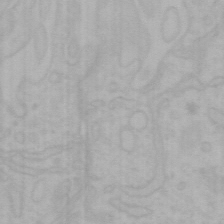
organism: Mouse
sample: Choroid plexus